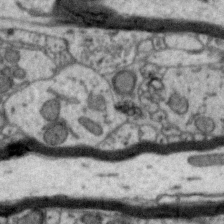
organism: Zebra finch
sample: Brain